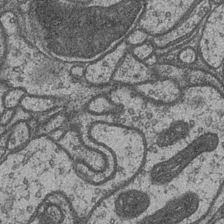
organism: Drosophila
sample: Optic medulla